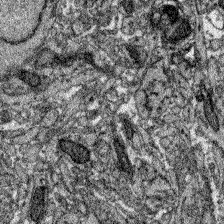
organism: Zebrafish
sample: Larval olfactory bulb